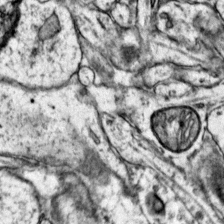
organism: Mouse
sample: Primary visual cortex